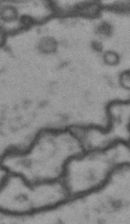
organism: Drosophila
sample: Brain